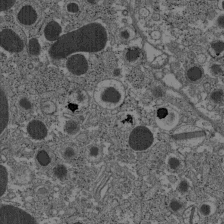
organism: C57BL Mouse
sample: Pancreatic islet